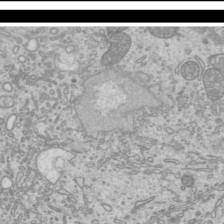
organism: Mouse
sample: Cilia; mouse epididymis